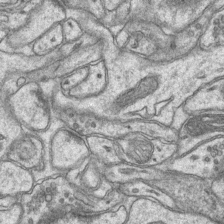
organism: Mouse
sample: CA1 Hippocampus